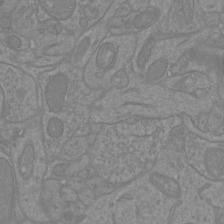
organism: Mouse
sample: Cortical neurons